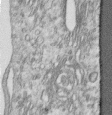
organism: Human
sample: Centriole in RPE cells